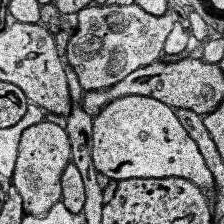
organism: Human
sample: Temporal Lobe